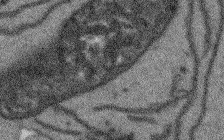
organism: Arabidopsis thaliana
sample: Root tip